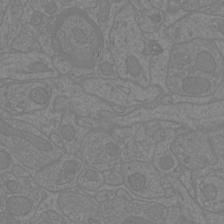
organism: Mouse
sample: Cortical neurons